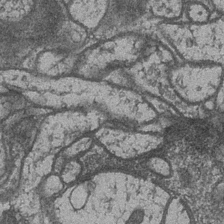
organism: Drosophila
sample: Optic medulla